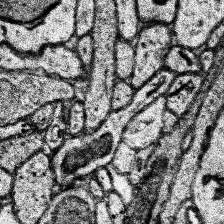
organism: Human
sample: Temporal Lobe